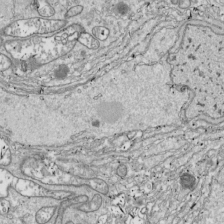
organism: Drosophila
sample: Cell division; meiosis; drosophila spermatocytes